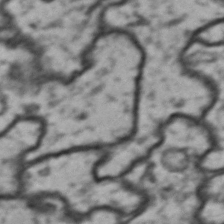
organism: Drosophila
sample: Brain